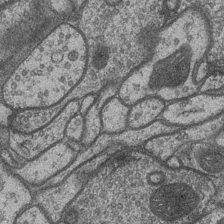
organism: Drosophila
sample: Optic medulla